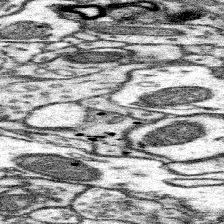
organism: Mouse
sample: Somatosensory cortex neuropil